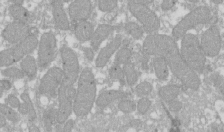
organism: Xenopus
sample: Cilia; centrioles in frog embryo cells